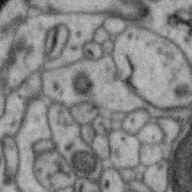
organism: Zebra finch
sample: Brain